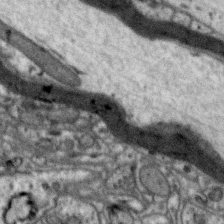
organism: Zebra finch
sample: Brain